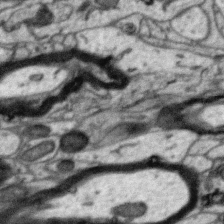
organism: Zebra finch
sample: Brain